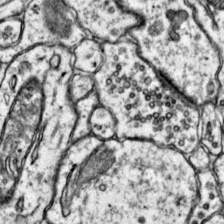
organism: Mouse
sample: Primary visual cortex